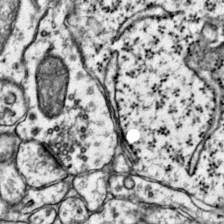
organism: Mouse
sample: Primary visual cortex